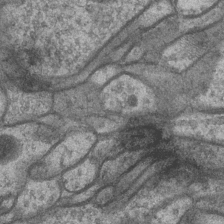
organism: Drosophila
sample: Optic medulla